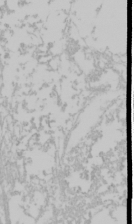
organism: Mouse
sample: Cancer cell death in ED-1 cells